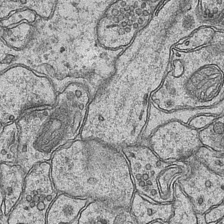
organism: Mouse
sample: CA1 Hippocampus